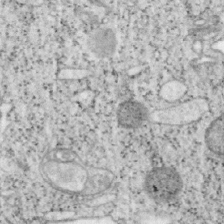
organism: Mouse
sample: OT-I killer T cells with ID8 ovarian cancer cells